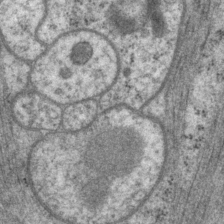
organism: P. pacificus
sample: Pharynx